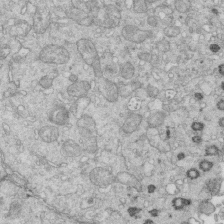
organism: Mouse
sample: Multiciliated cells